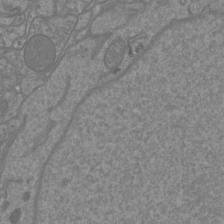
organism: Mouse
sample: Cortical neurons